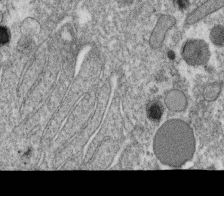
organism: C. elegans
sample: C. elegans oocyte; sperm cells